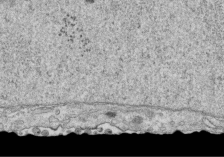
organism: Human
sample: HeLa cell HIV synapse